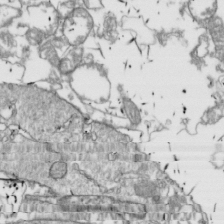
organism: Drosophila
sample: Cell division; meiosis; drosophila spermatocytes